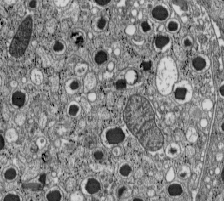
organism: C57BL Mouse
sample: Pancreatic islet